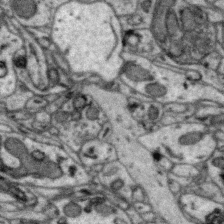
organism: Zebra finch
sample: Brain